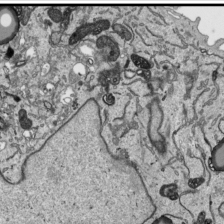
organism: Human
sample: Mitochondria in HCT116 cells